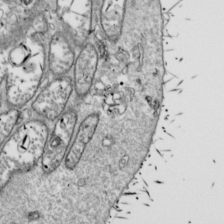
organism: Drosophila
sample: Cell division; meiosis; drosophila spermatocytes